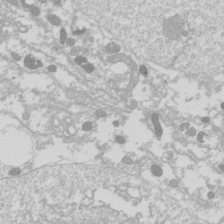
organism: Drosophila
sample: Cell division; meiosis; drosophila spermatocytes